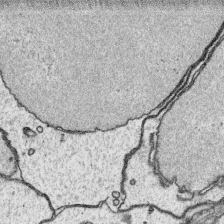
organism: Platynereis dumerilii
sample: Parapodia